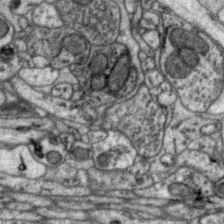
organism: Zebra finch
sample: Brain